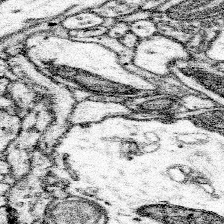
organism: Mouse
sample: Somatosensory cortex neuropil